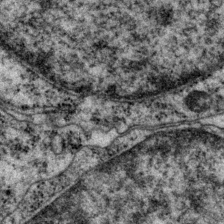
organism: P. pacificus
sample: Pharynx